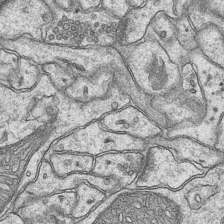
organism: Mouse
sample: CA1 Hippocampus